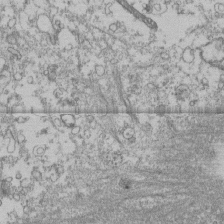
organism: Human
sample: Fibroblast cells